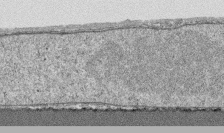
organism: Human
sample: CRL-1474